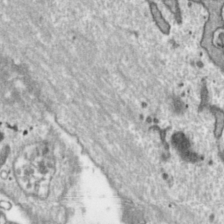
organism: Toxoplasma gondii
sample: Parasites in a vacuole inside a host cell